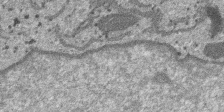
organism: Human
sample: Lung epithelial cells infected with SARS-CoV-2